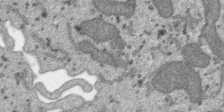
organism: Human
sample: Lung epithelial cells infected with SARS-CoV-2